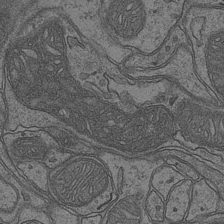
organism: Mouse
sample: CA1 Hippocampus